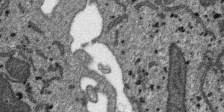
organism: Human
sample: Lung epithelial cells infected with SARS-CoV-2